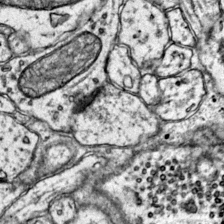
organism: Mouse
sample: Primary visual cortex